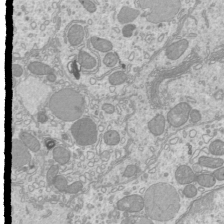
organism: Mouse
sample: Cilia; mouse epididymis